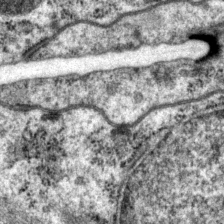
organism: P. pacificus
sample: Pharynx